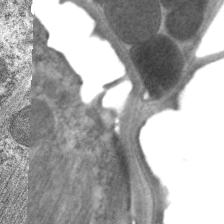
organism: C. elegans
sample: Pharynx